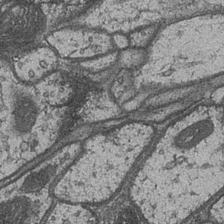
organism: Drosophila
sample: Optic medulla